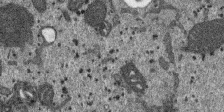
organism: Human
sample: Lung epithelial cells infected with SARS-CoV-2